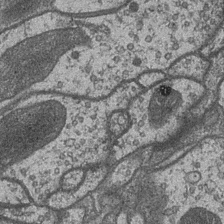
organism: Drosophila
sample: Optic medulla